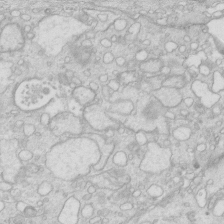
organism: Mouse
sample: Multiciliated cells